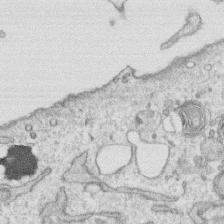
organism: Human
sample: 1205lu cells